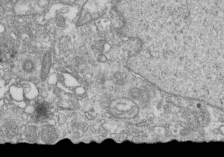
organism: Human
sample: HeLa cell HIV synapse